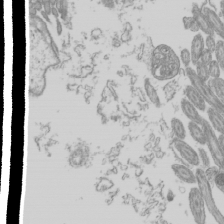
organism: Mouse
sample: Cilia; mouse epididymis